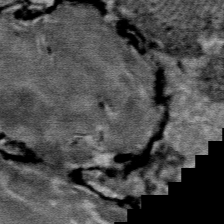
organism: Mouse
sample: Mouse Salivary gland